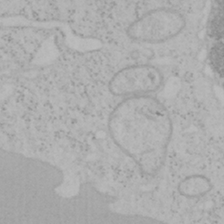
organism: Mouse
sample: OT-I killer T cells with ID8 ovarian cancer cells